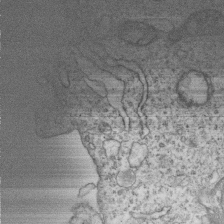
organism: Human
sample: MDA-MB-231 cells